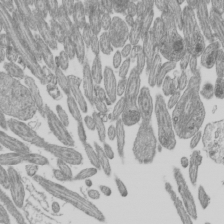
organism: Mouse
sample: Cilia; mouse epididymis